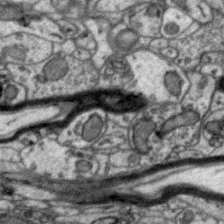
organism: Zebra finch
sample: Brain